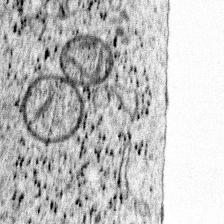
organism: Human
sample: HeLa cells